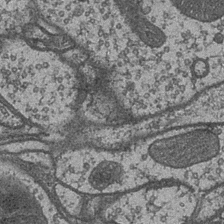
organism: Drosophila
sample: Optic medulla